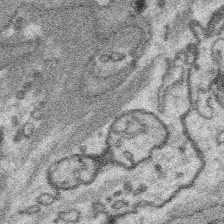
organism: Platynereis dumerilii